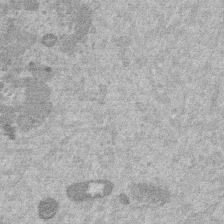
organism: Mouse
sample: Dividing mouse embryo 1 cell stage